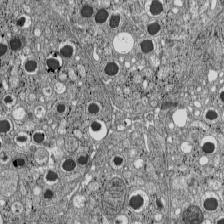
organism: C57BL Mouse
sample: Pancreatic islet